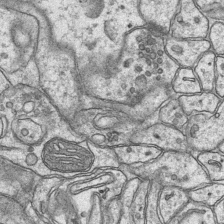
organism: Mouse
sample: CA1 Hippocampus